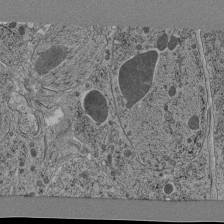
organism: C. elegans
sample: C. elegans pharynx